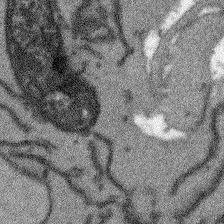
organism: Arabidopsis thaliana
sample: Root tip